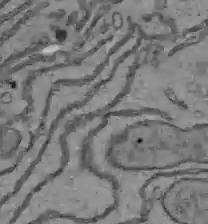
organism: C57BL Mouse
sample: Liver